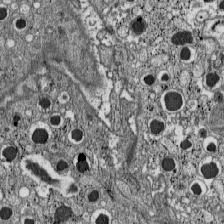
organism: C57BL Mouse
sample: Pancreatic islet